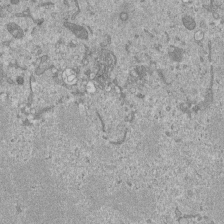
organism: Mouse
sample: ED-1 cell nuclei; centrioles